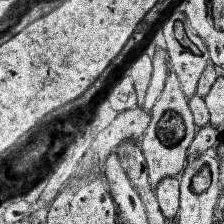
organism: Human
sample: Temporal Lobe